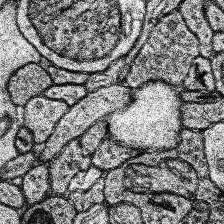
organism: Human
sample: Temporal Lobe